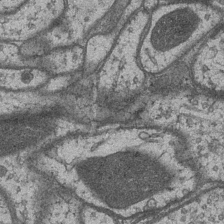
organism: Drosophila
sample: Optic medulla